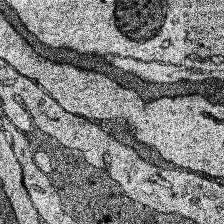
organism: Human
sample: Temporal Lobe